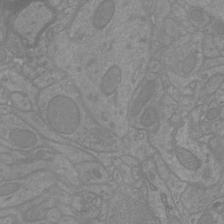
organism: Mouse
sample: Cortical neurons